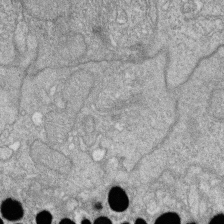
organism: Zebrafish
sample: Cilia; retinal pigment epithelium